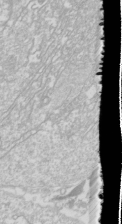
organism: Drosophila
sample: Cell division; meiosis; drosophila spermatocytes